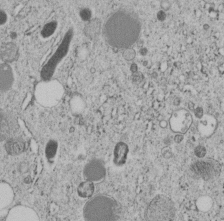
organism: C. elegans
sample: C. elegans embryo early stage